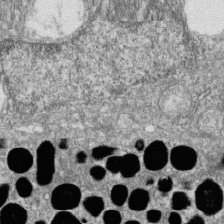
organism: Zebrafish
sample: Cilia; retinal pigment epithelium